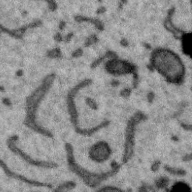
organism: Zebra finch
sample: Brain